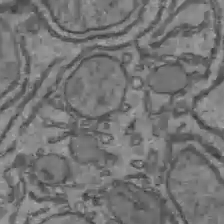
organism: C57BL Mouse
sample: Liver